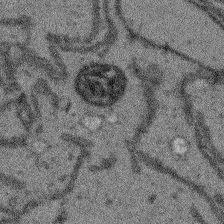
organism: Arabidopsis thaliana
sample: Root tip